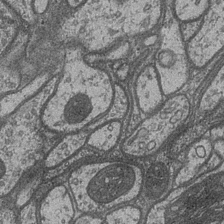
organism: Drosophila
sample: Optic medulla